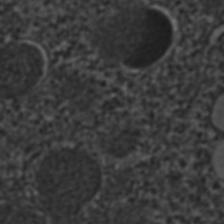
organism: C. elegans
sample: C. elegans embryo